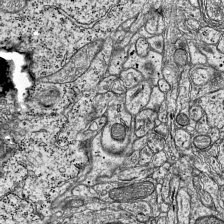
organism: Mouse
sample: Visual Cortex